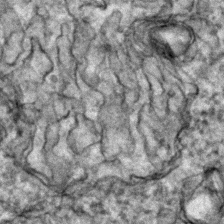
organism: Zebrafish